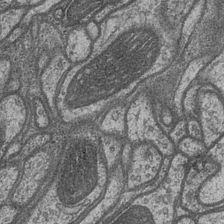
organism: Drosophila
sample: Optic medulla